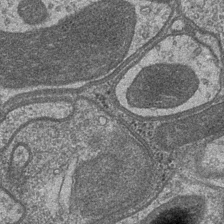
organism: Drosophila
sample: Optic medulla